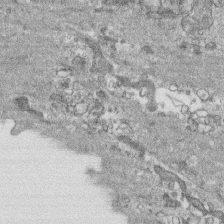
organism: Human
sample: CRL-1474